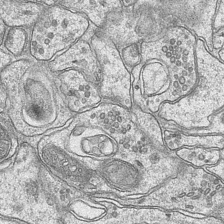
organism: Mouse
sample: CA1 Hippocampus